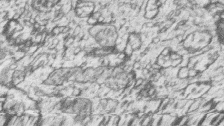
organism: Zebrafish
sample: synaptic ribbons in rod cells and cone cells